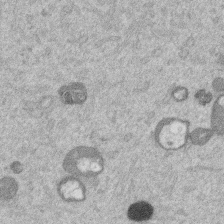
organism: Mouse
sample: Dividing mouse embryo 1 cell stage